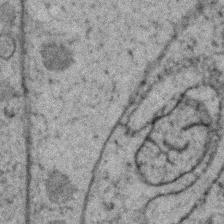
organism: Zebrafish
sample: Zebrafish embryo